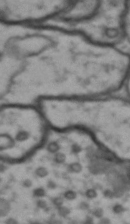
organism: Drosophila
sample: Brain